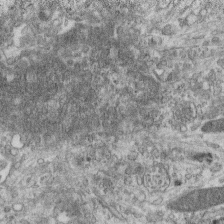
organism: Mouse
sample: Centriole in ependymal cells